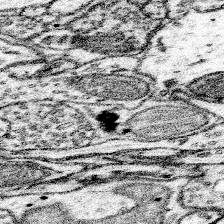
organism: Mouse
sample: Somatosensory cortex neuropil